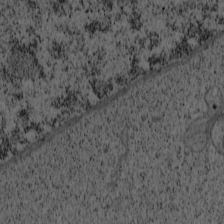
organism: African green monkey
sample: COS-7 cells